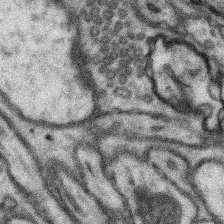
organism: Mouse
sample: Somatosensory cortex neuropil